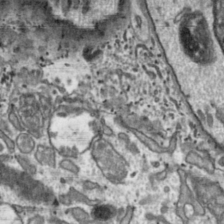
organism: Toxoplasma gondii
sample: Parasites in a vacuole inside a host cell